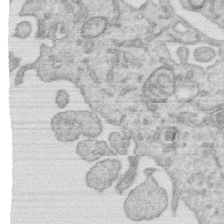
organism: Human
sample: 1205lu cells